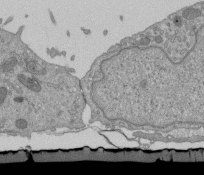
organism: Mouse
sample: ED-1 cell nuclei; centrioles